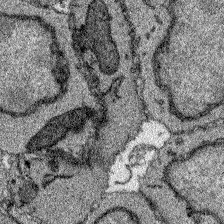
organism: Zebrafish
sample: Larval olfactory bulb